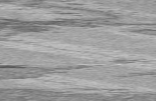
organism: C57BL Mouse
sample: Heart